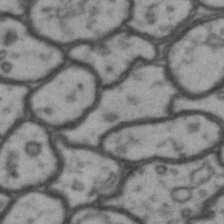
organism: Drosophila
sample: Brain